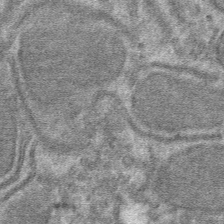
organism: Mouse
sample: Mouse hepatocytes